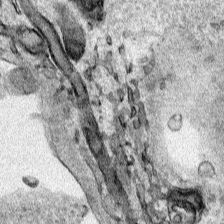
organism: Human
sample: Mitochondria in HCT116 cells